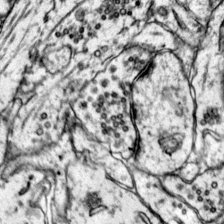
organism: Mouse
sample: Primary visual cortex